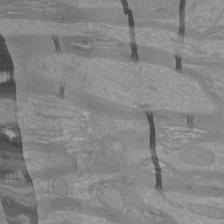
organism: Mouse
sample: Cortical neurons